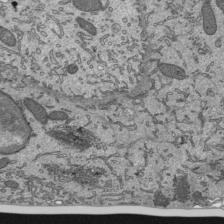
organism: Mouse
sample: Mouse epididymis efferent ductule cilia